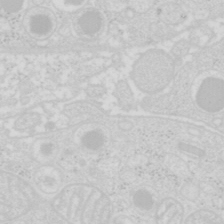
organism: Mouse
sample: Pancreas